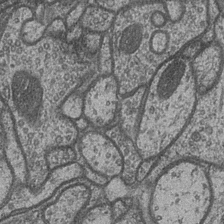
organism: Drosophila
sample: Optic medulla